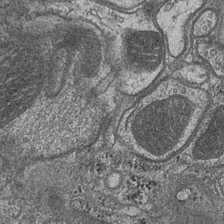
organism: Drosophila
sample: Optic medulla